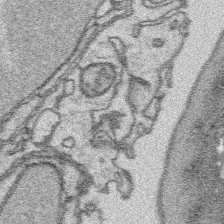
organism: Platynereis dumerilii